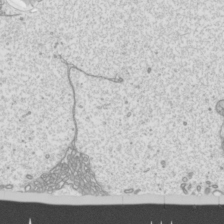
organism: Mouse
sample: Cilia; mouse epididymis